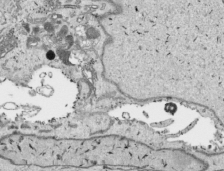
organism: Human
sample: Mitochondria in HCT116 cells